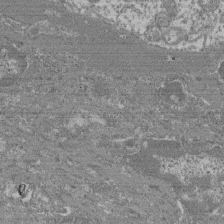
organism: Mouse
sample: Glomerulus